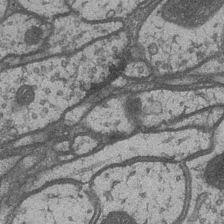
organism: Drosophila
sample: Optic medulla